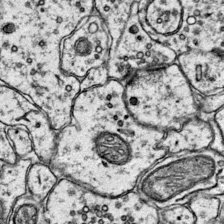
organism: Mouse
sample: Primary visual cortex